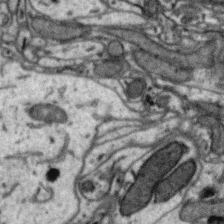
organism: Zebra finch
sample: Brain